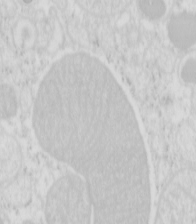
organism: Mouse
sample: Pancreas